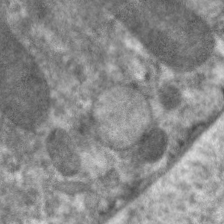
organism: C. elegans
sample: Pharynx